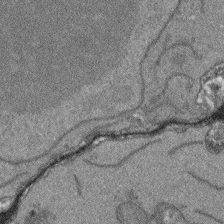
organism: Arabidopsis thaliana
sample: Root tip